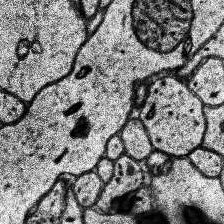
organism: Human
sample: Temporal Lobe